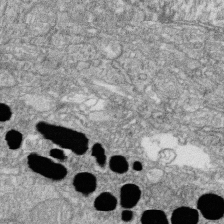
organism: Zebrafish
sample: Cilia; retinal pigment epithelium